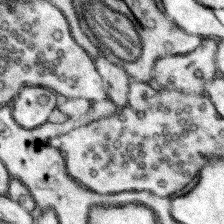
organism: Mouse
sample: Somatosensory cortex neuropil